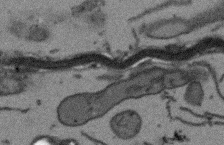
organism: Arabidopsis thaliana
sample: Root tip